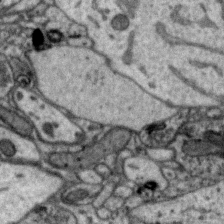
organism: Zebra finch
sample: Brain